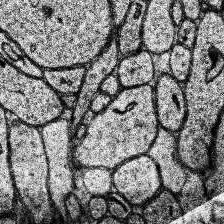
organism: Human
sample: Temporal Lobe